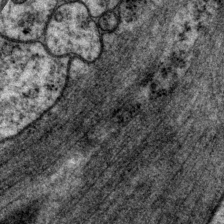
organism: P. pacificus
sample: Pharynx